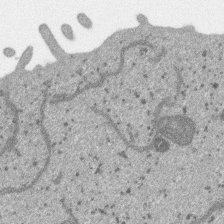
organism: Human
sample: Lung epithelial cells infected with SARS-CoV-2